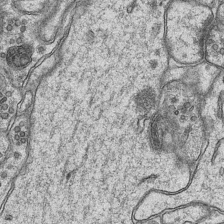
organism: Mouse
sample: CA1 Hippocampus